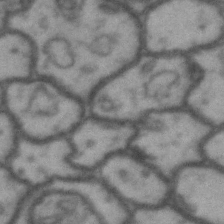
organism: Drosophila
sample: Brain